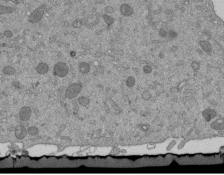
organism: Mouse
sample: ED-1 cell nuclei; centrioles